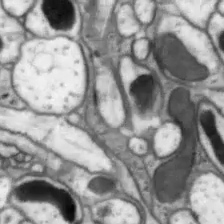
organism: Drosophila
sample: Optic lobe